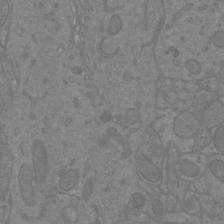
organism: Mouse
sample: Cortical neurons